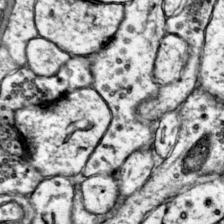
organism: Mouse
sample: Primary visual cortex